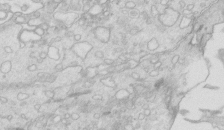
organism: Mouse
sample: Multiciliated cells